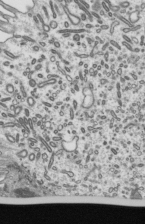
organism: Mouse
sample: Mouse epididymis efferent ductule cilia